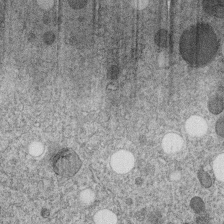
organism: C. elegans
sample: C. elegans embryo early stage